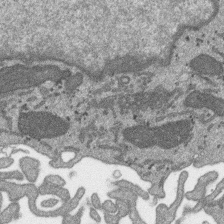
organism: Human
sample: Lung epithelial cells infected with SARS-CoV-2